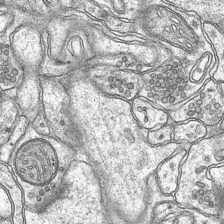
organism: Mouse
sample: CA1 Hippocampus